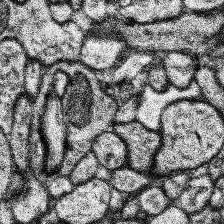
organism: Human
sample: Temporal Lobe